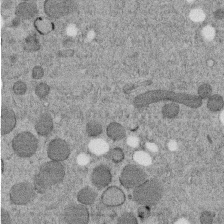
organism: C. elegans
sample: C. elegans embryo early stage